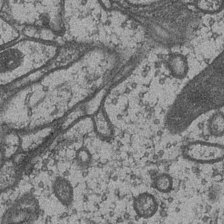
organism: Drosophila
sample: Optic medulla